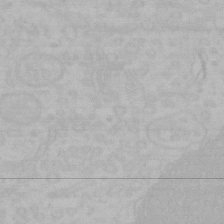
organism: Mouse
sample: Choroid plexus